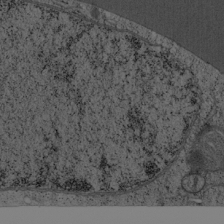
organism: African green monkey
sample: COS-7 cells